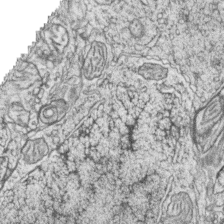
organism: Zebrafish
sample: synaptic ribbons in rod cells and cone cells